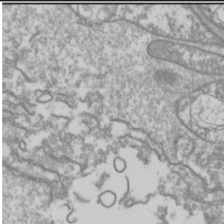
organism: Drosophila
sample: Cell division; meiosis; drosophila spermatocytes